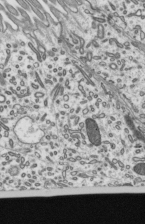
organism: Mouse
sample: Mouse epididymis efferent ductule cilia